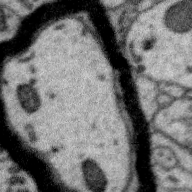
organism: Zebra finch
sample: Brain